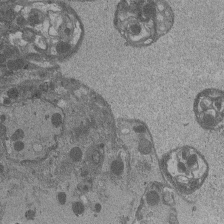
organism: Drosophila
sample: Antenna